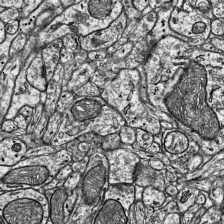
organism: Mouse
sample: Visual Cortex